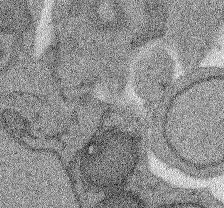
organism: Human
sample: HeLa cells